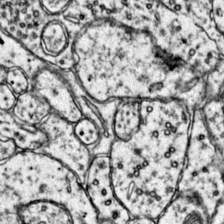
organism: Mouse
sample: Primary visual cortex